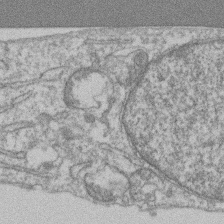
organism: Mouse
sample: T cell stromal cell synapse